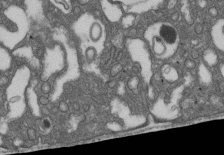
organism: Drosophila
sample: Nephrocyte